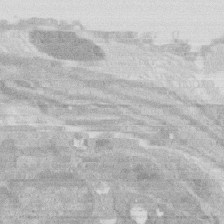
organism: Rat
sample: Salivary granule